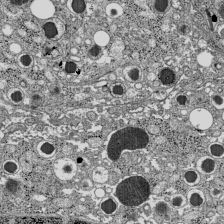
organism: C57BL Mouse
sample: Pancreatic islet